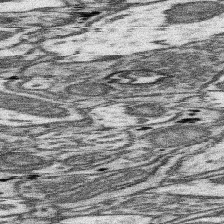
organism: Mouse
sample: Somatosensory cortex neuropil